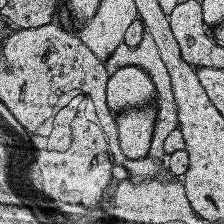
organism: Human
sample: Temporal Lobe